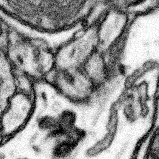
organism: Mouse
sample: Somatosensory cortex neuropil